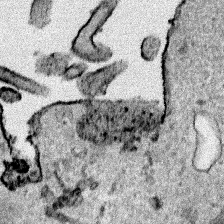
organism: Human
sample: Mitochondria in HCT116 cells